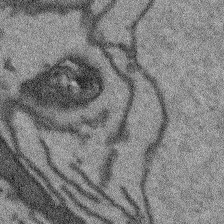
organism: Arabidopsis thaliana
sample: Root tip